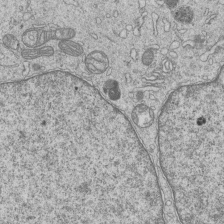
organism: Human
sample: MDA-MB-231 cells